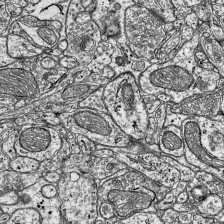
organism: Mouse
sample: Visual Cortex